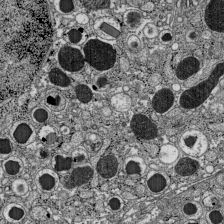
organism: C57BL Mouse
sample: Pancreatic islet